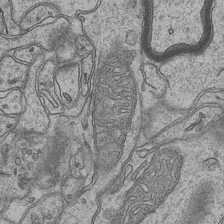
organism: Mouse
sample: CA1 Hippocampus